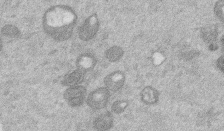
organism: Mouse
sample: Dividing mouse embryo 1 cell stage